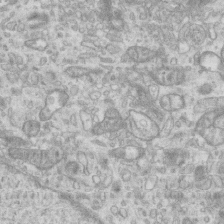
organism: Mouse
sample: Centriole in ependymal cells